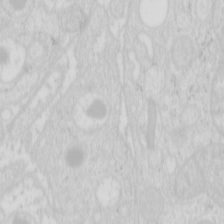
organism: Mouse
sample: Pancreas